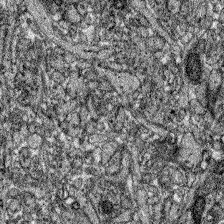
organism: Zebrafish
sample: Larval olfactory bulb